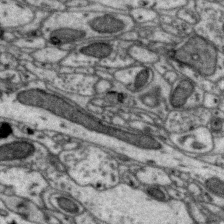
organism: Zebra finch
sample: Brain